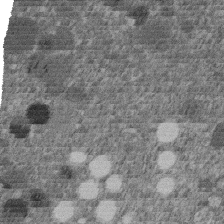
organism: C. elegans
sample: C. elegans embryo early stage